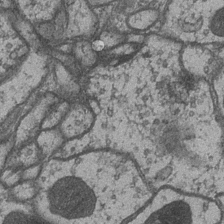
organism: Drosophila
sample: Optic medulla